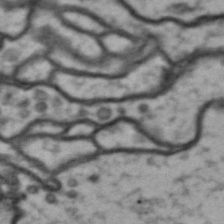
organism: Drosophila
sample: Brain